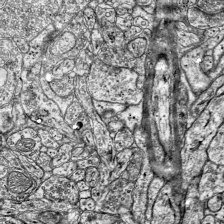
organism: Mouse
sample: Visual Cortex